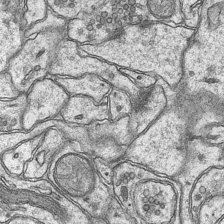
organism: Mouse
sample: CA1 Hippocampus